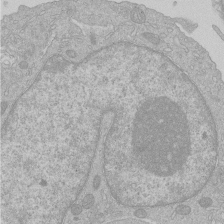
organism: Human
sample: Macrophage cells